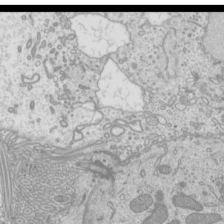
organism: Mouse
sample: Cilia; mouse epididymis